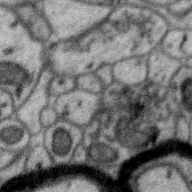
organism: Zebra finch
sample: Brain